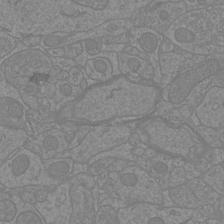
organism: Mouse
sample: Cortical neurons